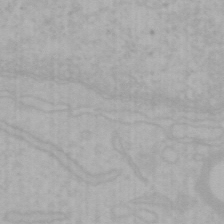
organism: Mouse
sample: Choroid plexus